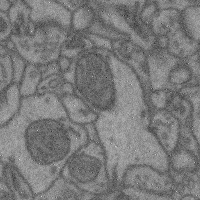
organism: Mouse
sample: Cerebral cortex